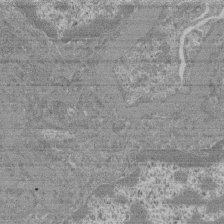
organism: Mouse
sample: Glomerulus